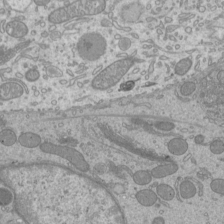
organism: Mouse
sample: Cilia; mouse epididymis